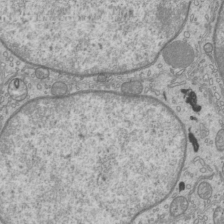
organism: Mouse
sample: Cilia; mouse epididymis